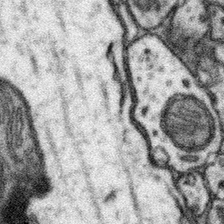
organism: Mouse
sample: Somatosensory cortex neuropil